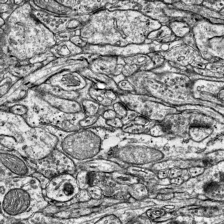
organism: Mouse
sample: Visual Cortex